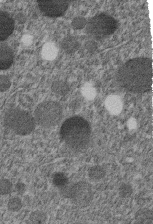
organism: C. elegans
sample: C. elegans embryo early stage